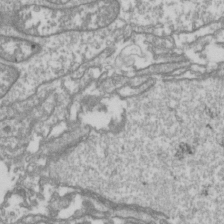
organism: Drosophila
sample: Cell division; meiosis; drosophila spermatocytes